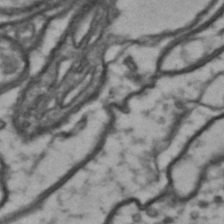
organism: Drosophila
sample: Brain